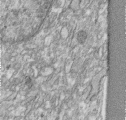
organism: Human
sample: Centriole in RPE cells